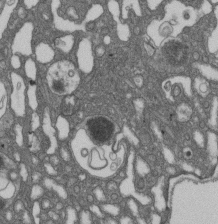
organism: Drosophila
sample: Nephrocyte